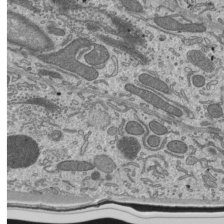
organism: Mouse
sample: Mouse epididymis efferent ductule cilia